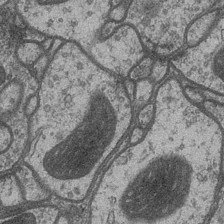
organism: Drosophila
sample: Optic medulla